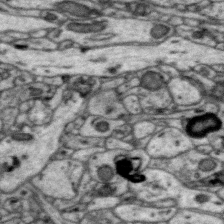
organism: Zebra finch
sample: Brain